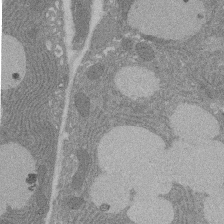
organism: Rat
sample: Salivary granule